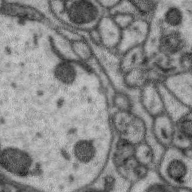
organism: Zebra finch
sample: Brain